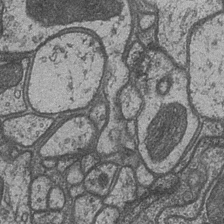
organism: Drosophila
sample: Optic medulla